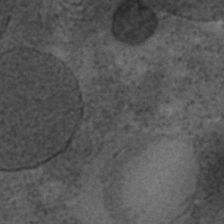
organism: C. elegans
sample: C. elegans embryo